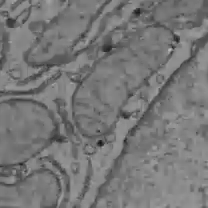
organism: C57BL Mouse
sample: Liver